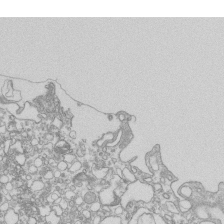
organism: Mouse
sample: Macrophages